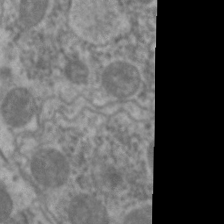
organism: C. elegans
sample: Pharynx